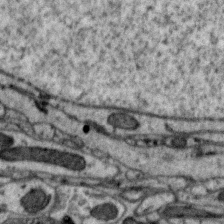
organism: Zebra finch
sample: Brain